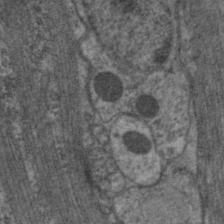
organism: C. elegans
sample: Pharynx